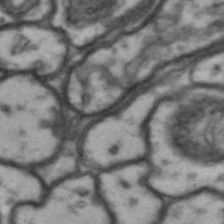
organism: Drosophila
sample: Brain